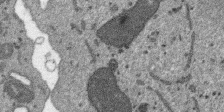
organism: Human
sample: Lung epithelial cells infected with SARS-CoV-2